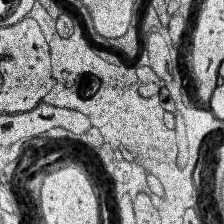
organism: Human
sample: Temporal Lobe